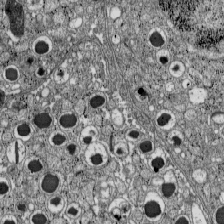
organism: C57BL Mouse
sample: Pancreatic islet